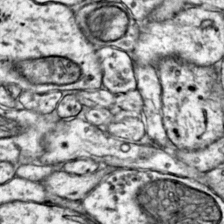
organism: Mouse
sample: Primary visual cortex